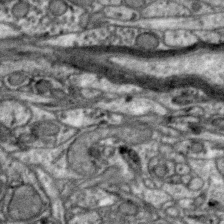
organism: Zebra finch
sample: Brain